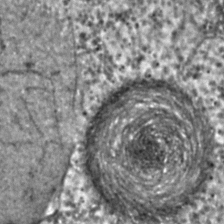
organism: C. elegans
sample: C. elegans embryo